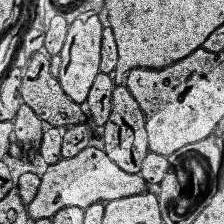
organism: Human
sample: Temporal Lobe